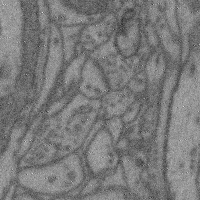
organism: Mouse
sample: Cerebral cortex